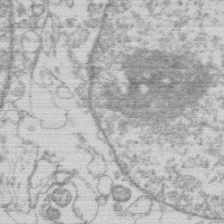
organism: Human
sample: Macrophage cells